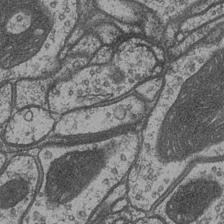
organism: Drosophila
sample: Optic medulla